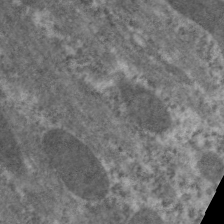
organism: C. elegans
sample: Pharynx